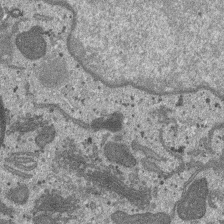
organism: Human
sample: Lung epithelial cells infected with SARS-CoV-2